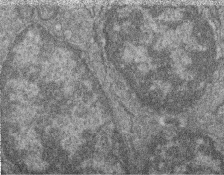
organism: Zebrafish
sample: Cilia; retinal pigment epithelium